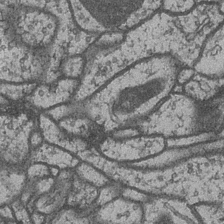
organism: Drosophila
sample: Optic medulla